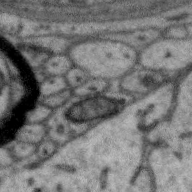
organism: Zebra finch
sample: Brain